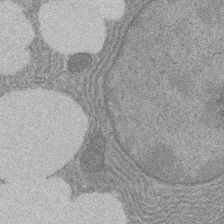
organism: Rat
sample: Salivary granule